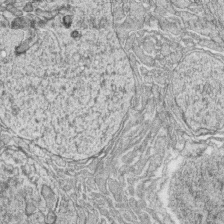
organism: Zebrafish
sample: synaptic ribbons in rod cells and cone cells